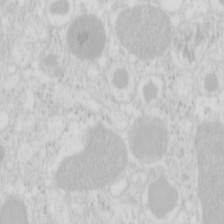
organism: Mouse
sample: Pancreas